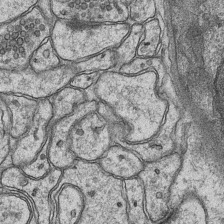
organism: Mouse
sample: CA1 Hippocampus